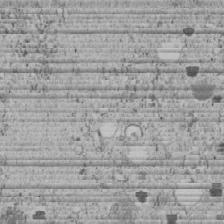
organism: C. elegans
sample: C. elegans embryo early stage